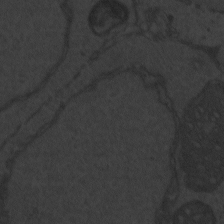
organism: Zebrafish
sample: Macrophage infected with Toxoplasma gondii